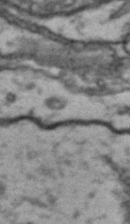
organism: Drosophila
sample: Brain